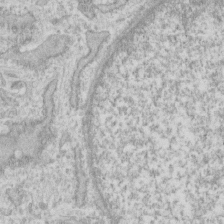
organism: Human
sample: Fibroblast cells